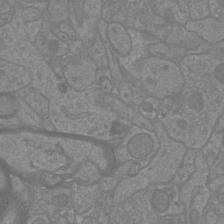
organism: Mouse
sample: Cortical neurons